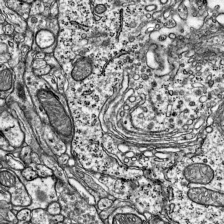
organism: Mouse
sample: Visual Cortex